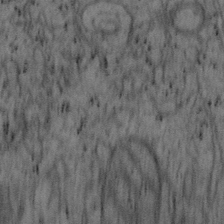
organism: Human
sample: HeLa cells